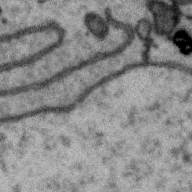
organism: Zebra finch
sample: Brain